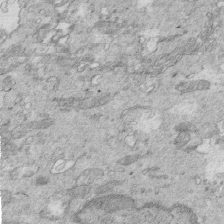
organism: Mouse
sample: Multiciliated cells